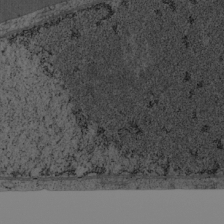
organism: African green monkey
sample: COS-7 cells